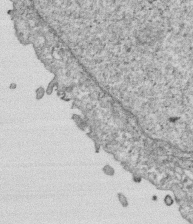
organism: Human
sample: HeLa cell HIV synapse